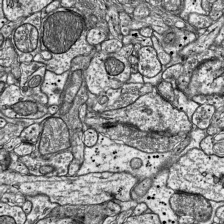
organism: Mouse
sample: Visual Cortex